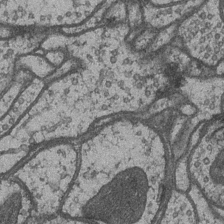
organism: Drosophila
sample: Optic medulla